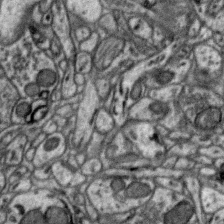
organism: Zebra finch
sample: Brain